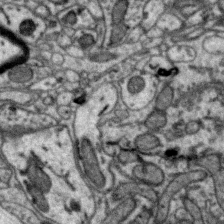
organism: Zebra finch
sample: Brain